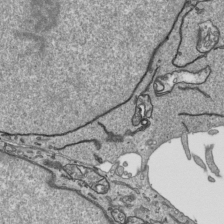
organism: Human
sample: Mitochondria in HCT116 cells